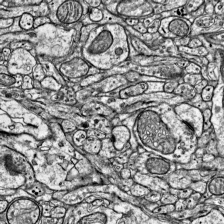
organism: Mouse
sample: Visual Cortex